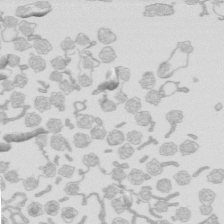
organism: Mouse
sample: Multiciliated cells